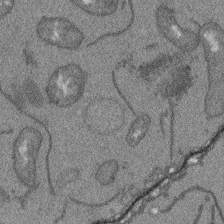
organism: Arabidopsis thaliana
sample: Root tip